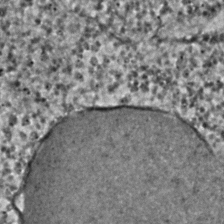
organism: C. elegans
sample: C. elegans embryo